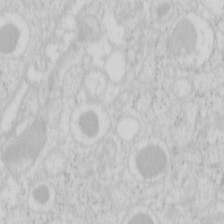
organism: Mouse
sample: Pancreas